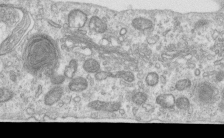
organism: Human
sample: Centriole in RPE cells